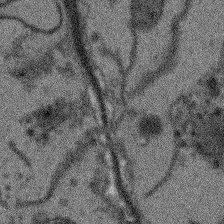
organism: Arabidopsis thaliana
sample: Root tip